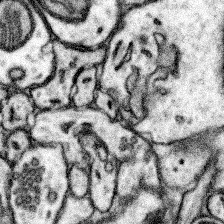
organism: Mouse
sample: Somatosensory cortex neuropil